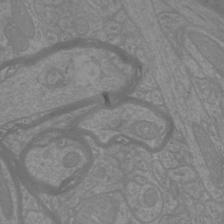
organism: Mouse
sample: Cortical neurons